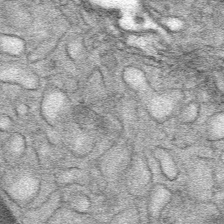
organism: Mouse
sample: Mouse Salivary gland